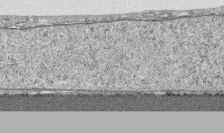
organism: Human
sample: CRL-1474